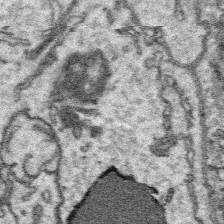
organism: Platynereis dumerilii